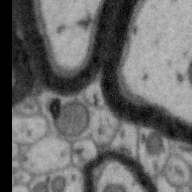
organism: Zebra finch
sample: Brain